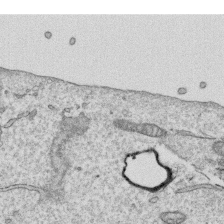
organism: Human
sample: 1205lu cells